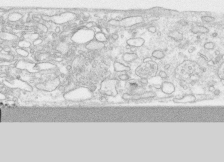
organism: Human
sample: CRL-1474